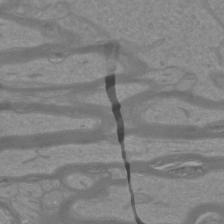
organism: Mouse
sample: Cortical neurons